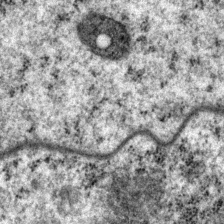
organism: P. pacificus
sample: Pharynx